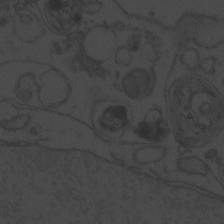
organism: Zebrafish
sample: Macrophage infected with Toxoplasma gondii